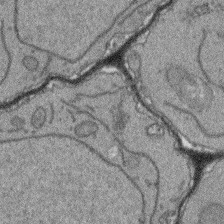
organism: Arabidopsis thaliana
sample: Root tip